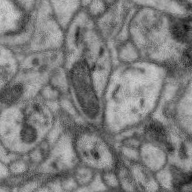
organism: Zebra finch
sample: Brain